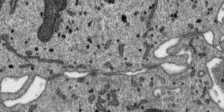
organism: Human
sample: Lung epithelial cells, uninfected (mock) control